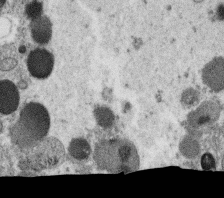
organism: C. elegans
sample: C. elegans oocyte; sperm cells